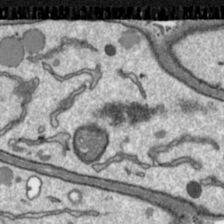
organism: Toxoplasma gondii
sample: Parasites in a vacuole inside a host cell